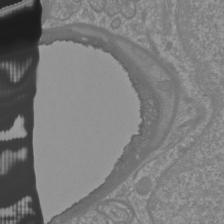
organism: Mouse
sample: Cortical neurons